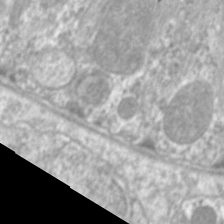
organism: C. elegans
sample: Pharynx